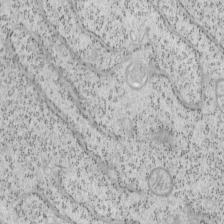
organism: Mouse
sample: OT-I killer T cells with ID8 ovarian cancer cells